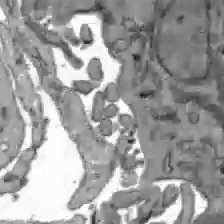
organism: C57BL Mouse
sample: Liver